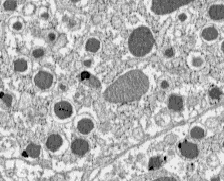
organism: C57BL Mouse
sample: Pancreatic islet